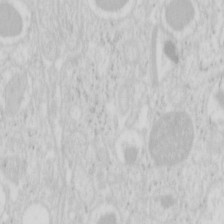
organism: Mouse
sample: Pancreas